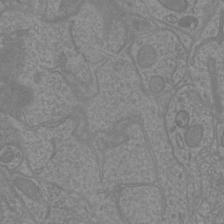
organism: Mouse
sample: Cortical neurons